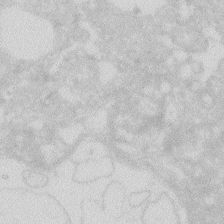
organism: Zebrafish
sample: Macrophage